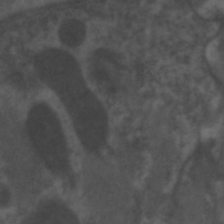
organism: C. elegans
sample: Pharynx